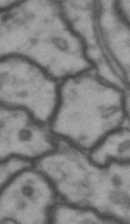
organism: Drosophila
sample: Brain